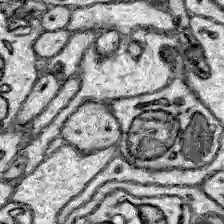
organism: Zebrafish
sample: Brain